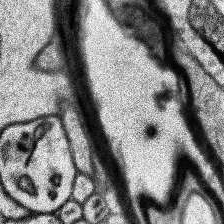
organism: Human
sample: Temporal Lobe